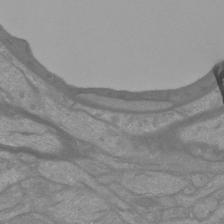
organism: Mouse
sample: Cortical neurons